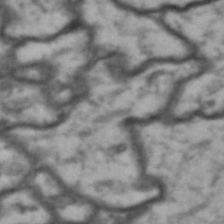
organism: Drosophila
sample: Brain